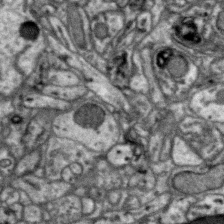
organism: Zebra finch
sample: Brain